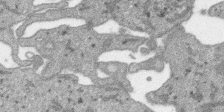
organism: Human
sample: Lung epithelial cells infected with SARS-CoV-2